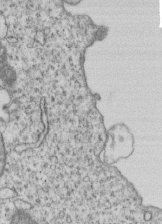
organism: Human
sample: MDA-MB-231 cells